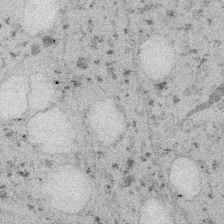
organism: Embia sp.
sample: Silk gland